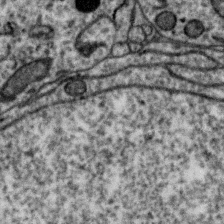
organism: Zebra finch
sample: Brain